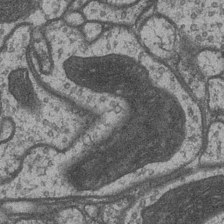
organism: Drosophila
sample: Optic medulla